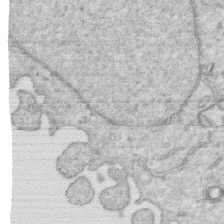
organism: Human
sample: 1205lu cells